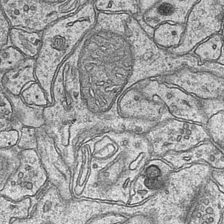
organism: Mouse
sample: CA1 Hippocampus